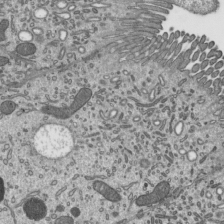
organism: Mouse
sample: Mouse epididymis efferent ductule cilia